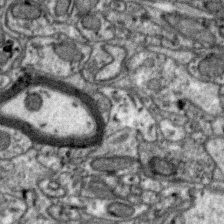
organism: Zebra finch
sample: Brain